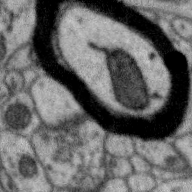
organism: Zebra finch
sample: Brain